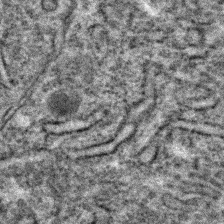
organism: C. elegans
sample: C. elegans embryo